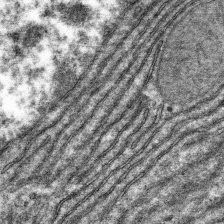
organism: Mouse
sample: Mouse hepatocytes